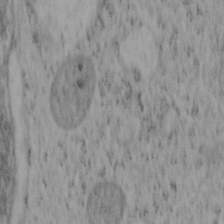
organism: Mouse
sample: OT-I killer T cells with ID8 ovarian cancer cells